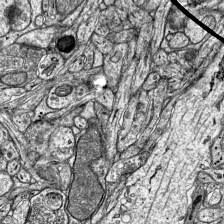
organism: Mouse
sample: Visual Cortex